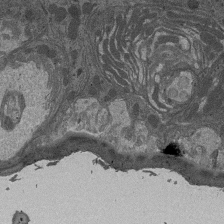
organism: Drosophila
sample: Antenna